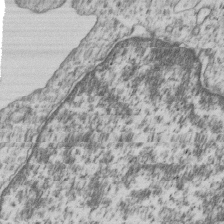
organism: Human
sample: MDA-MB-231 cells